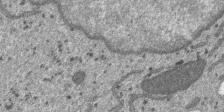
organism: Human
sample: Lung epithelial cells infected with SARS-CoV-2